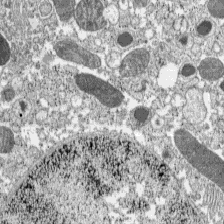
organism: C57BL Mouse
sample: Pancreatic islet